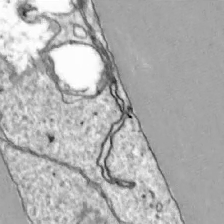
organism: Zebrafish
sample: Actinotrichia fibers